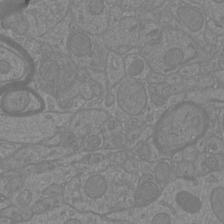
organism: Mouse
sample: Cortical neurons